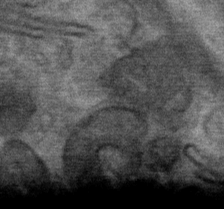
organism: Mouse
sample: Mouse Salivary gland